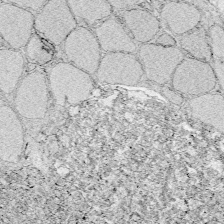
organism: Zebrafish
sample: Whole-Brain